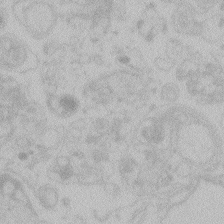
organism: Zebrafish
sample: Macrophage infected with Toxoplasma gondii